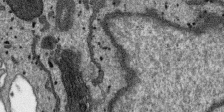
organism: Human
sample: Lung epithelial cells, uninfected (mock) control